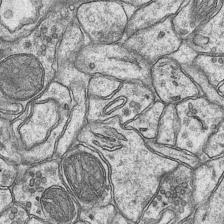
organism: Mouse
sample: CA1 Hippocampus